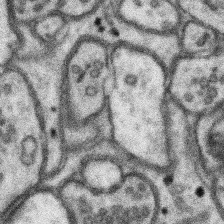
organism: Mouse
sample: Somatosensory cortex neuropil